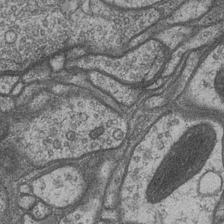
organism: Drosophila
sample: Optic medulla